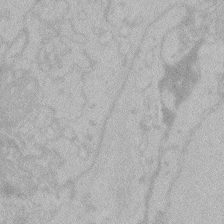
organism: Zebrafish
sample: Macrophage infected with Toxoplasma gondii